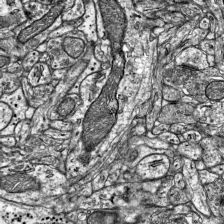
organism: Mouse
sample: Visual Cortex